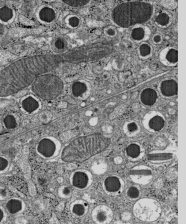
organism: C57BL Mouse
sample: Pancreatic islet